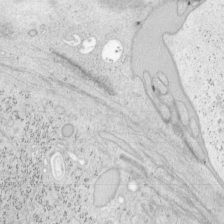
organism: Mouse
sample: OT-I killer T cells with ID8 ovarian cancer cells